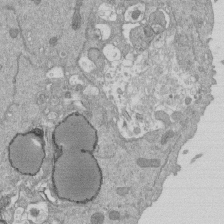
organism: Mouse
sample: ED-1 cell nuclei; centrioles